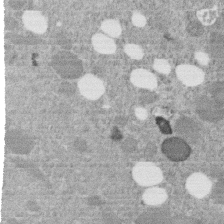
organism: C. elegans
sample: C. elegans embryo early stage